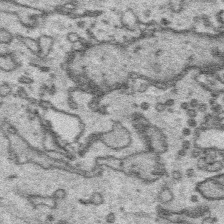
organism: Platynereis dumerilii